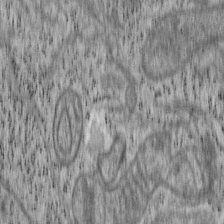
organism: Human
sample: HeLa cells